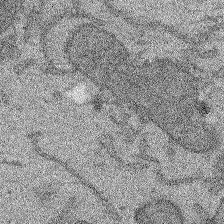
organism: Human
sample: HeLa cells